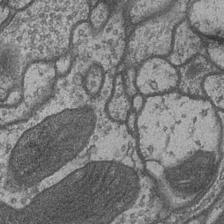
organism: Drosophila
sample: Optic medulla